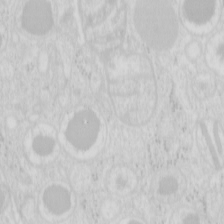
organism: Mouse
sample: Pancreas